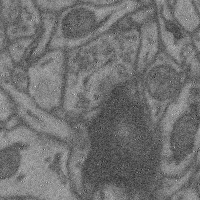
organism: Mouse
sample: Cerebral cortex